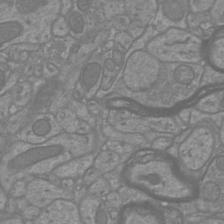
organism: Mouse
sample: Cortical neurons